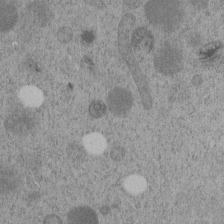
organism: C. elegans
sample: C. elegans embryo early stage